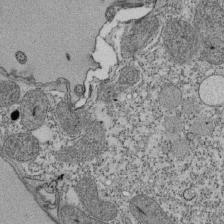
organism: Tetrahymena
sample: Cilia in tetrahymena